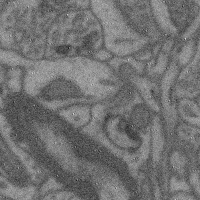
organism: Mouse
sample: Cerebral cortex